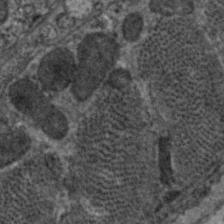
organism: C. elegans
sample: Pharynx